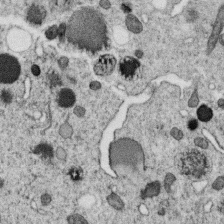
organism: C. elegans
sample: C. elegans oocyte; sperm cells